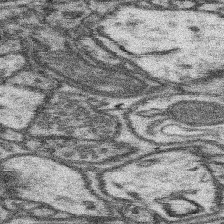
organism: Mouse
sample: Somatosensory cortex neuropil